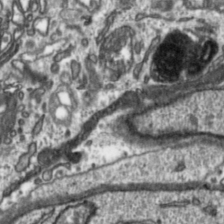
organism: Toxoplasma gondii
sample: Parasites in a vacuole inside a host cell